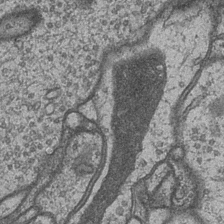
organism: Drosophila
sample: Optic medulla